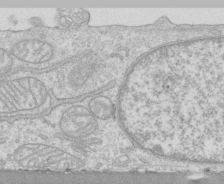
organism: Human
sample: CRL-1474